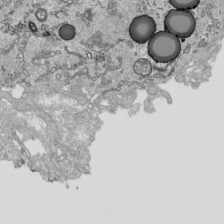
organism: Human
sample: Mitochondria in HCT116 cells